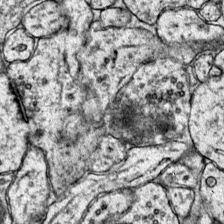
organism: Mouse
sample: Primary visual cortex